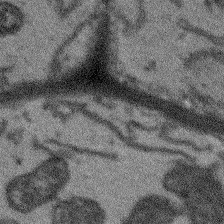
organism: Arabidopsis thaliana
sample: Root tip